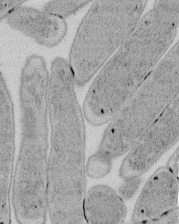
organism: E. coli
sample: Bacterial nucleoid